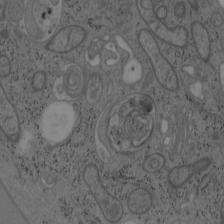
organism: Mouse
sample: OT-I killer T cells with ID8 ovarian cancer cells